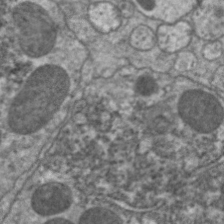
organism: C. elegans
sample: Pharynx